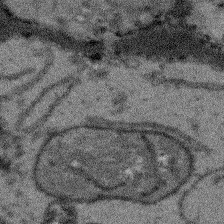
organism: Arabidopsis thaliana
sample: Root tip